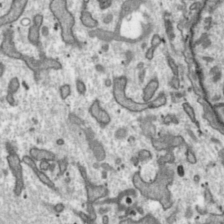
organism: Toxoplasma gondii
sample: Parasites in a vacuole inside a host cell